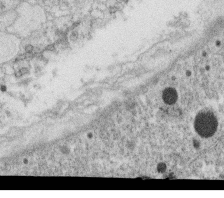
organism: C. elegans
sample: C. elegans oocyte; sperm cells